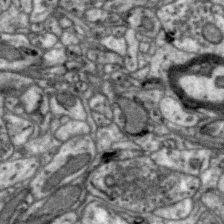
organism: Zebra finch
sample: Brain